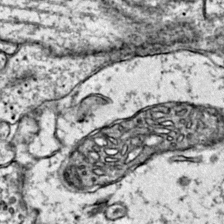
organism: Mouse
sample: Primary visual cortex